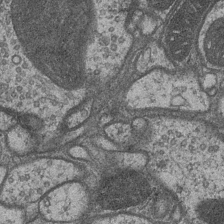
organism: Drosophila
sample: Optic medulla